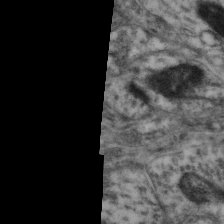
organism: Mouse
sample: Neocortex